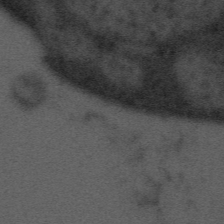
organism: Tuwongella immobilis